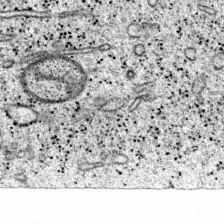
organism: Human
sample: HeLa cells